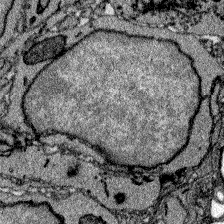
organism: Zebrafish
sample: Larval olfactory bulb